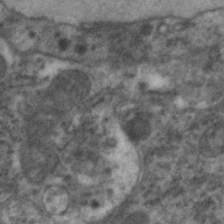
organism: C. elegans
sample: Pharynx